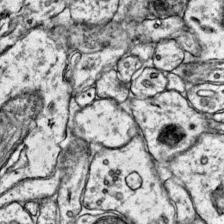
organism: Mouse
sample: Primary visual cortex